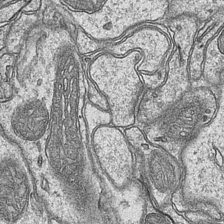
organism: Mouse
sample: CA1 Hippocampus